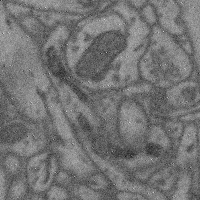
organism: Mouse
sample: Cerebral cortex